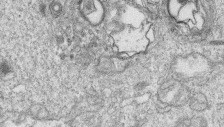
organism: Human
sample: HeLa cell HIV synapse